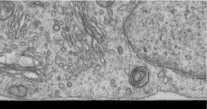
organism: Human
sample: Centriole in RPE cells